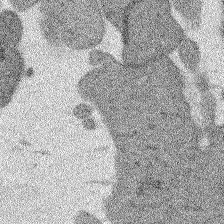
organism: Human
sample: HeLa cells